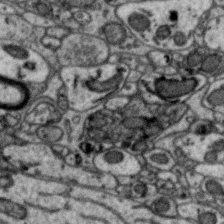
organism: Zebra finch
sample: Brain